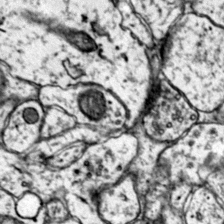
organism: Mouse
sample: Primary visual cortex